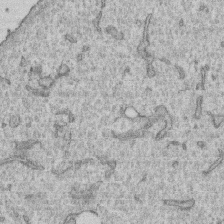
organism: Human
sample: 1205lu cells